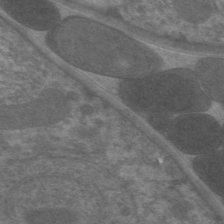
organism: C. elegans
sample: Pharynx